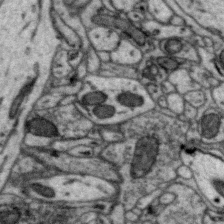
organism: Zebra finch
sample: Brain